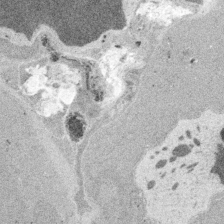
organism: Embia sp.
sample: Silk gland